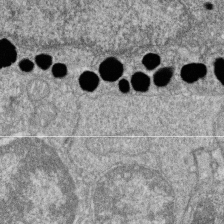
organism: Zebrafish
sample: Cilia; retinal pigment epithelium